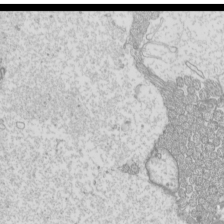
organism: Mouse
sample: Cilia; mouse epididymis